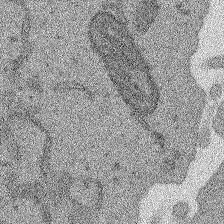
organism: Human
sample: HeLa cells